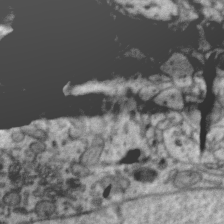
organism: Zebra finch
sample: Brain